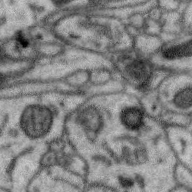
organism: Zebra finch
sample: Brain